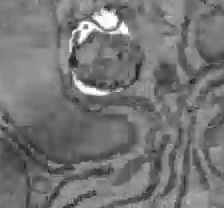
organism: C57BL Mouse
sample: Liver